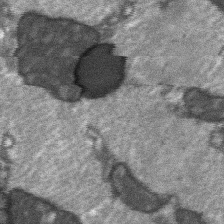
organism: C57BL Mouse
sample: Soleus